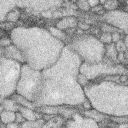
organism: Rabbit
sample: Retina